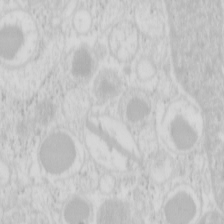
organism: Mouse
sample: Pancreas